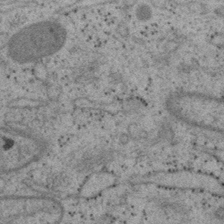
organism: Human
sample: HeLa cells